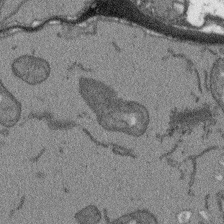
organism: Arabidopsis thaliana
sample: Root tip